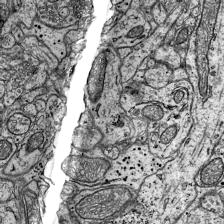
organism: Mouse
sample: Visual Cortex